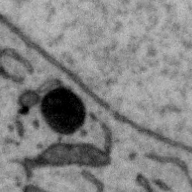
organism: Zebra finch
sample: Brain